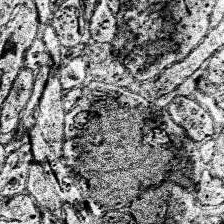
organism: Human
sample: Temporal Lobe